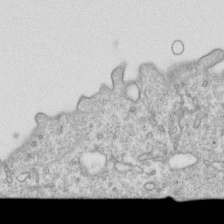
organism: Mouse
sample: Activated OT-1 CD8+ T cells